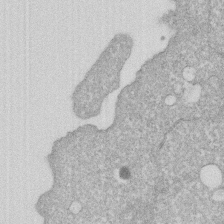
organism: Human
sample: HIV infected U937 cells